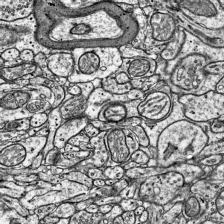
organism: Mouse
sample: Visual Cortex